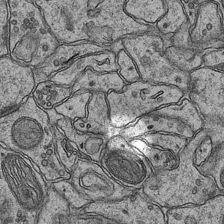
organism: Mouse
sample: CA1 Hippocampus